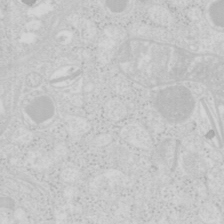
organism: Mouse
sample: Pancreas